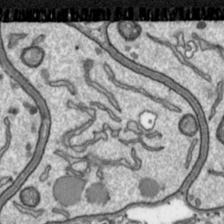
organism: Toxoplasma gondii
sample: Parasites in a vacuole inside a host cell